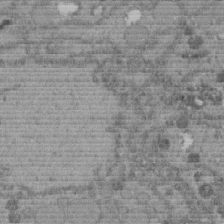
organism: C. elegans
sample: C. elegans embryo early stage